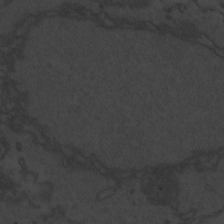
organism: Zebrafish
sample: Macrophage infected with Toxoplasma gondii